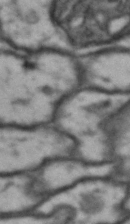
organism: Drosophila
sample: Brain